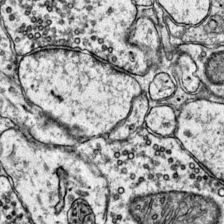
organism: Mouse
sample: Primary visual cortex